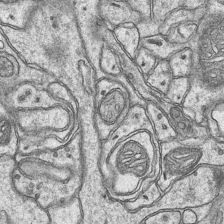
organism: Mouse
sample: CA1 Hippocampus